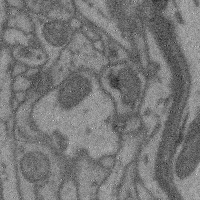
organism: Mouse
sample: Cerebral cortex